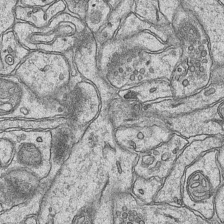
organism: Mouse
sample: CA1 Hippocampus